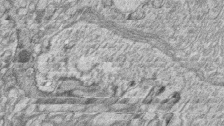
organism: Zebrafish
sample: synaptic ribbons in rod cells and cone cells